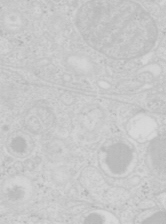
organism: Mouse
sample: Pancreas